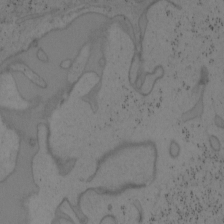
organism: Mouse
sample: OT-I killer T cells with ID8 ovarian cancer cells